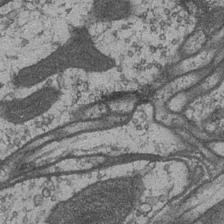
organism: Drosophila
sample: Optic medulla